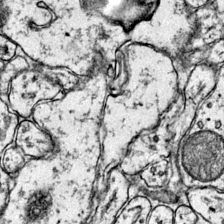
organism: Mouse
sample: Primary visual cortex